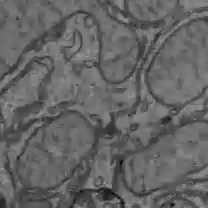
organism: C57BL Mouse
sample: Liver